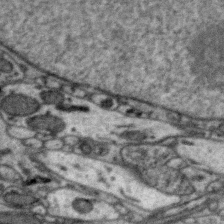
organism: Zebra finch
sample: Brain